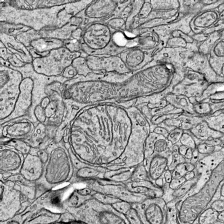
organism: Mouse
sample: Visual Cortex